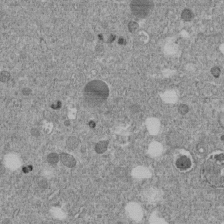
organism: C. elegans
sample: C. elegans embryo early stage